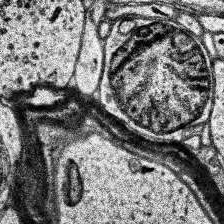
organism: Human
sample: Temporal Lobe